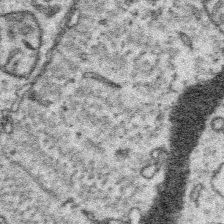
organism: Platynereis dumerilii